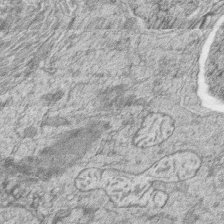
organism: Zebrafish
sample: synaptic ribbons in rod cells and cone cells